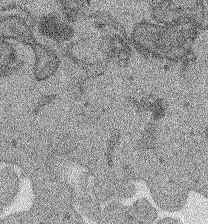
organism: Human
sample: HeLa cells